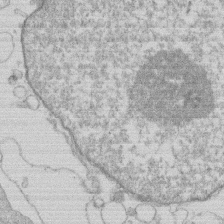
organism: Human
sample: Macrophage cells